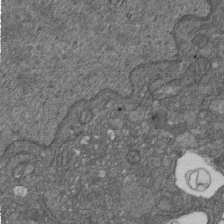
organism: Drosophila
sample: Nephrocyte